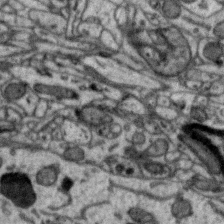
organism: Zebra finch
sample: Brain